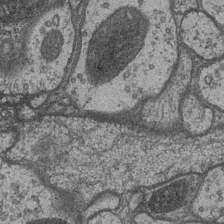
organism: Drosophila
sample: Optic medulla